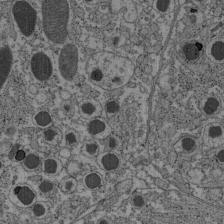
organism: C57BL Mouse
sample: Pancreatic islet